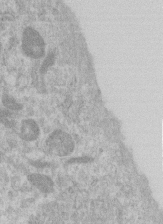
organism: Human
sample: Centriole in RPE cells